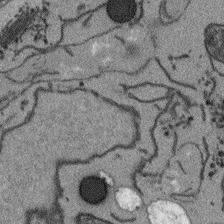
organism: Arabidopsis thaliana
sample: Root tip